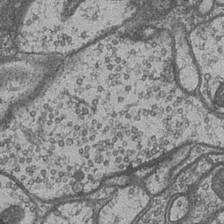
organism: Drosophila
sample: Optic medulla